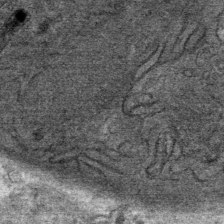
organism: Mouse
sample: Mouse Salivary gland